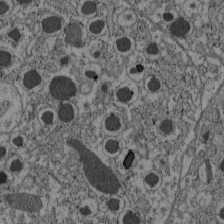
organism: C57BL Mouse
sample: Pancreatic islet